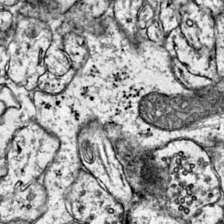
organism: Mouse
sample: Primary visual cortex